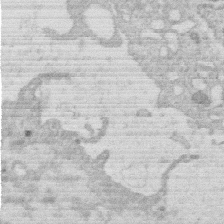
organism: Human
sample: Macrophage cells